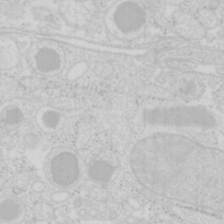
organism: Mouse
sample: Pancreas